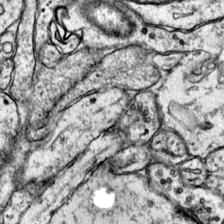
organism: Mouse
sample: Primary visual cortex